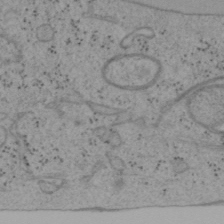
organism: Human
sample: HeLa cells